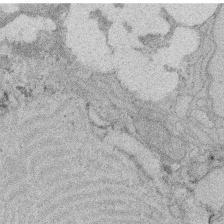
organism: Rat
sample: Salivary granule